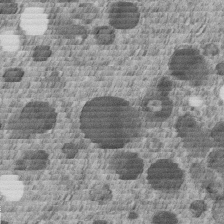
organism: C. elegans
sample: C. elegans embryo early stage